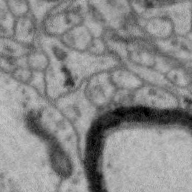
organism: Zebra finch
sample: Brain